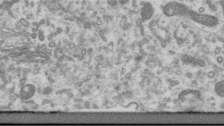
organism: Human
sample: Centriole in RPE cells